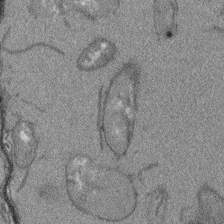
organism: Arabidopsis thaliana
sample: Root tip